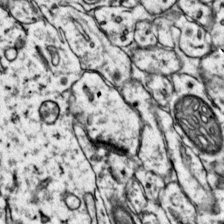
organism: Mouse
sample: Primary visual cortex